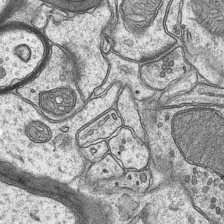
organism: Mouse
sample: CA1 Hippocampus